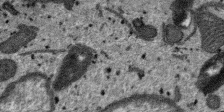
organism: Human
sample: Lung epithelial cells, uninfected (mock) control